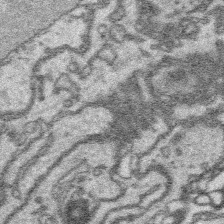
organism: Platynereis dumerilii